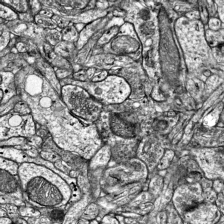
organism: Mouse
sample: Visual Cortex